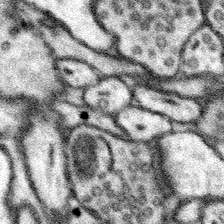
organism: Mouse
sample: Somatosensory cortex neuropil